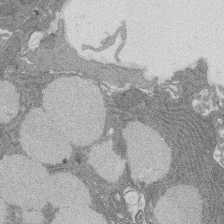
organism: Rat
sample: Salivary granule